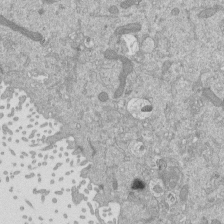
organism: Mouse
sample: ED-1 cell nuclei; centrioles